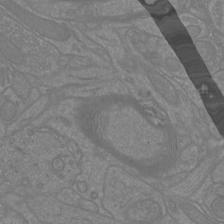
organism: Mouse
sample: Cortical neurons